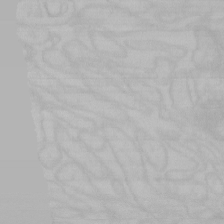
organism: Mouse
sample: Choroid plexus